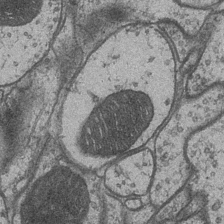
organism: Drosophila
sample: Optic medulla